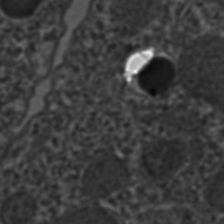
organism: C. elegans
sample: C. elegans embryo